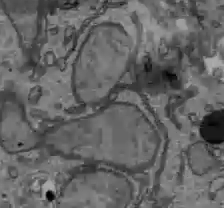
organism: C57BL Mouse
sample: Liver